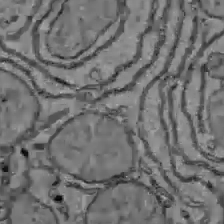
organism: C57BL Mouse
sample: Liver